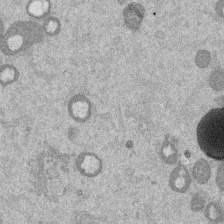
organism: Mouse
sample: Dividing mouse embryo 1 cell stage